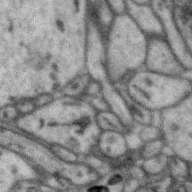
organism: Zebra finch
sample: Brain